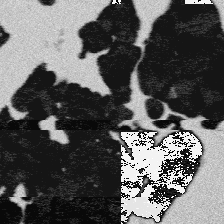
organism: Platynereis dumerilii